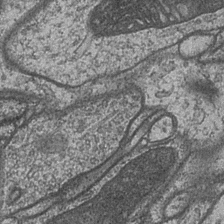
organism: Drosophila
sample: Optic medulla